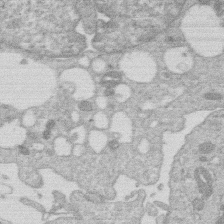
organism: Human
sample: Macrophage cells